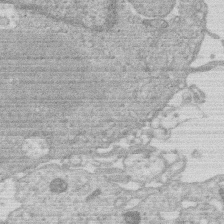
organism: Human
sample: Macrophage cells